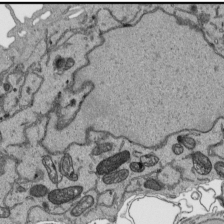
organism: Human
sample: Mitochondria in HCT116 cells